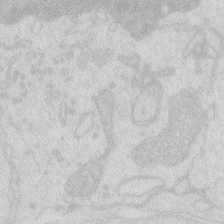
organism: Zebrafish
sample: Macrophage